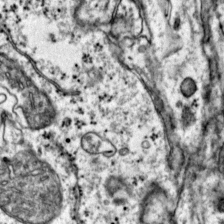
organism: Mouse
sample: Primary visual cortex